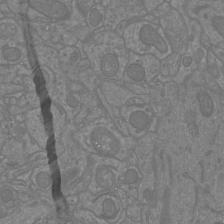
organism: Mouse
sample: Cortical neurons